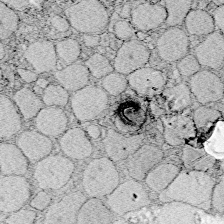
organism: Zebrafish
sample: Whole-Brain